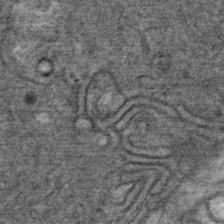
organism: Mouse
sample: Mouse Salivary gland